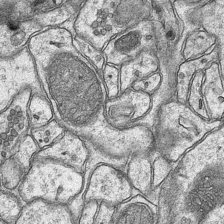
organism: Mouse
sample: CA1 Hippocampus